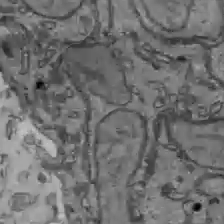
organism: C57BL Mouse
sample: Liver